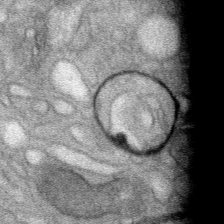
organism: Mouse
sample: Mouse Salivary gland